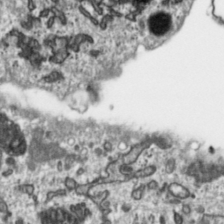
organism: Toxoplasma gondii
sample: Parasites in a vacuole inside a host cell